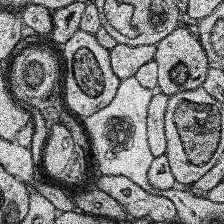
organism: Human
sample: Temporal Lobe